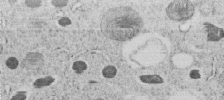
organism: C. elegans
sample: C. elegans embryo early stage